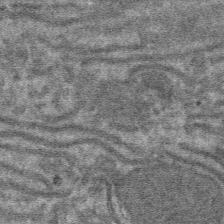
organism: Mouse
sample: Mouse hepatocytes